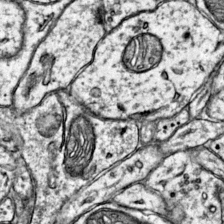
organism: Mouse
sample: Primary visual cortex